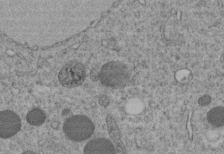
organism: C. elegans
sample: C. elegans embryo early stage